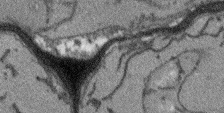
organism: Arabidopsis thaliana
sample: Root tip